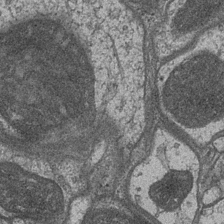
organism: Drosophila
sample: Optic medulla